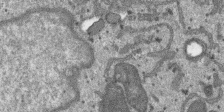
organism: Human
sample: Lung epithelial cells infected with SARS-CoV-2